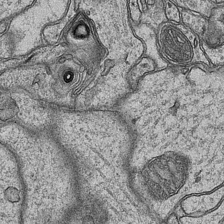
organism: Mouse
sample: CA1 Hippocampus